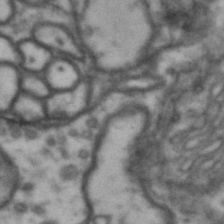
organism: Drosophila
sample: Brain